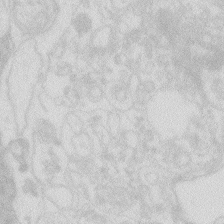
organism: Zebrafish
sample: Macrophage